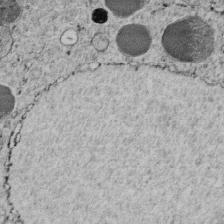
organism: C. elegans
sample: C. elegans embryo early stage